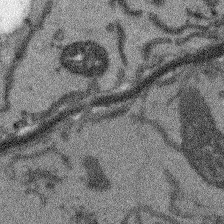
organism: Arabidopsis thaliana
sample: Root tip